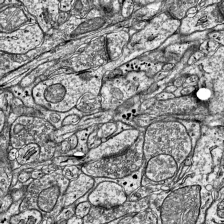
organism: Mouse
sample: Visual Cortex